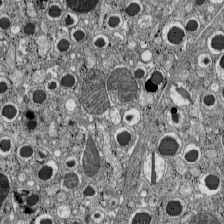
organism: C57BL Mouse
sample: Pancreatic islet